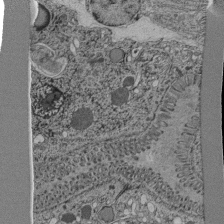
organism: C. elegans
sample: C. elegans pharynx